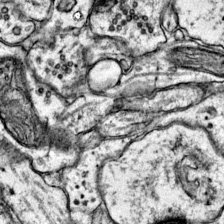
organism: Mouse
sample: Primary visual cortex